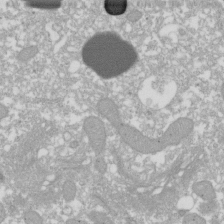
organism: Xenopus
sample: Cilia; centrioles in frog embryo cells